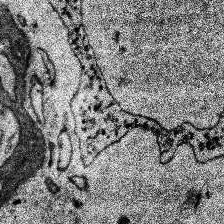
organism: Human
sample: Temporal Lobe